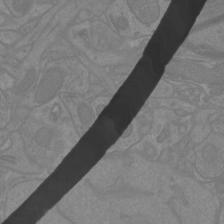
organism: Mouse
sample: Cortical neurons